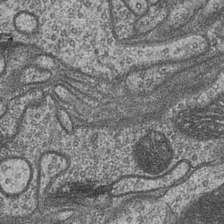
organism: Drosophila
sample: Optic medulla